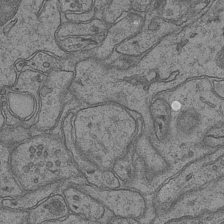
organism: Mouse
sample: CA1 Hippocampus